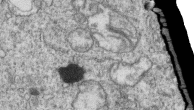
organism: Human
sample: HeLa cell HIV synapse